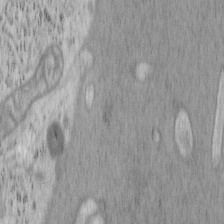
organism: Human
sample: HeLa cells